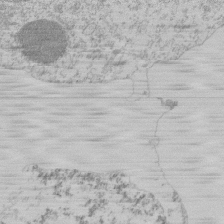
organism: Mouse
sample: Activated Pmel transgenic CD8+ T Cells